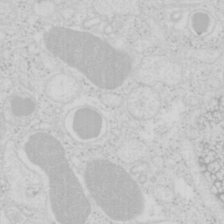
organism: Mouse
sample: Pancreas